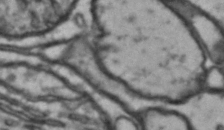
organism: Drosophila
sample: Brain